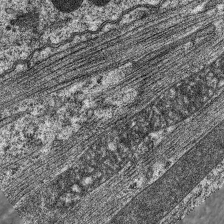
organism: C. elegans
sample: Pharynx